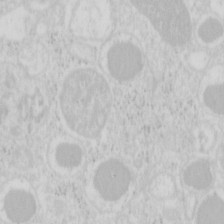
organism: Mouse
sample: Pancreas